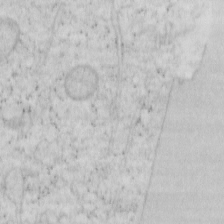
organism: Human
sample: HeLa cells